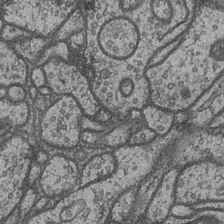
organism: Drosophila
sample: Optic medulla